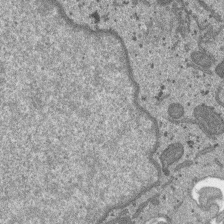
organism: Human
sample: Lung epithelial cells infected with SARS-CoV-2